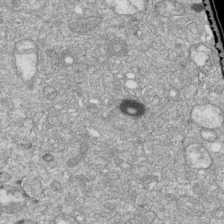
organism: Human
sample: HeLa cell HIV synapse